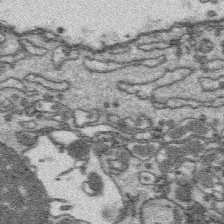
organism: Platynereis dumerilii